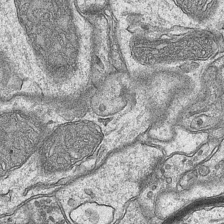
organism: Mouse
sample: CA1 Hippocampus